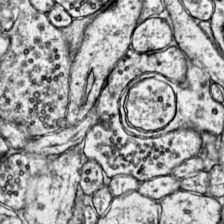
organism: Mouse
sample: Primary visual cortex